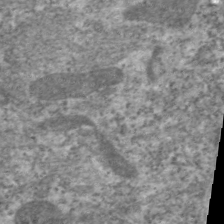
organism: C. elegans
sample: Pharynx